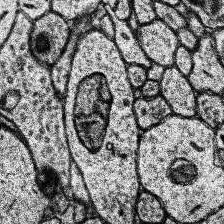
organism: Human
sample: Temporal Lobe